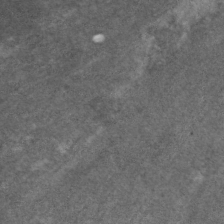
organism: C. elegans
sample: Pharynx